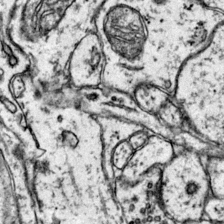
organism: Mouse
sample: Primary visual cortex